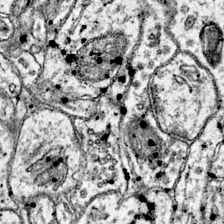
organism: Mouse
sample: Primary visual cortex